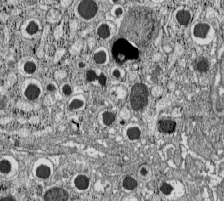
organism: C57BL Mouse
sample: Pancreatic islet